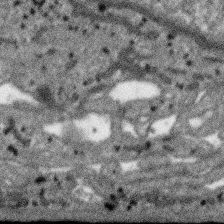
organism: Human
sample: Lung epithelial cells infected with SARS-CoV-2